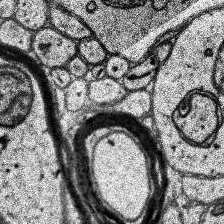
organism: Human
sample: Temporal Lobe